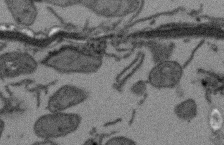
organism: Arabidopsis thaliana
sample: Root tip